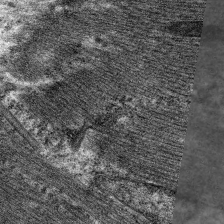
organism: C. elegans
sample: Pharynx